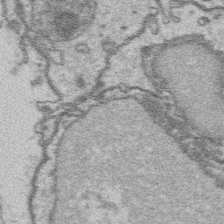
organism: Platynereis dumerilii